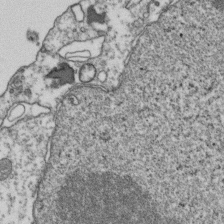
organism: Human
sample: Activated Jurkat CD4+ T cells